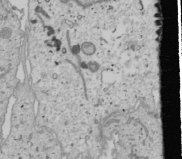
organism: Human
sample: Mitochondria in U2OS cells